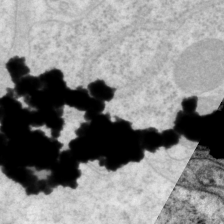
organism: P. pacificus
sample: Pharynx